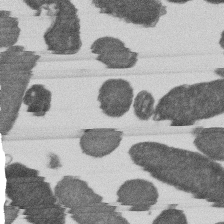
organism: E. coli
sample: Bacterial nucleoid